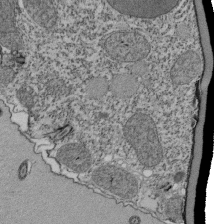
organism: Tetrahymena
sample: Cilia in tetrahymena